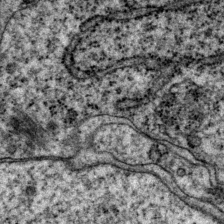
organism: P. pacificus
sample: Pharynx